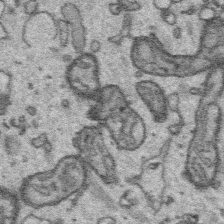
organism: Platynereis dumerilii